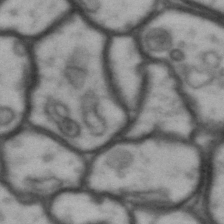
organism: Drosophila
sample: Brain